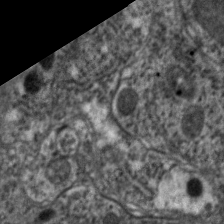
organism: C. elegans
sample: Pharynx